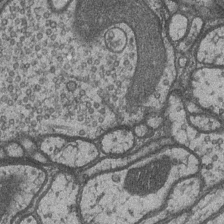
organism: Drosophila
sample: Optic medulla